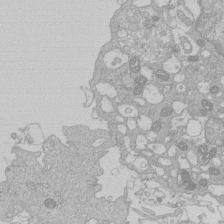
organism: Human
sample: Macrophage cells